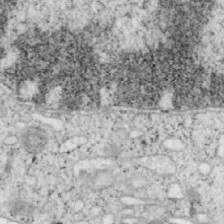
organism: Mouse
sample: OT-I killer T cells with ID8 ovarian cancer cells